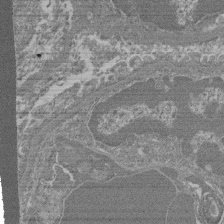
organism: Mouse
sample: Glomerulus